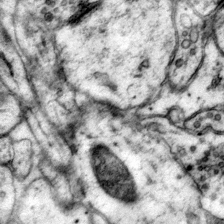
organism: Mouse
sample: Primary visual cortex